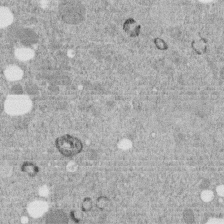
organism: C. elegans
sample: C. elegans embryo early stage